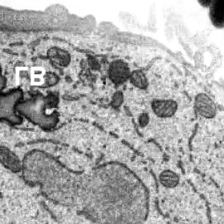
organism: Human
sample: HeLa cells